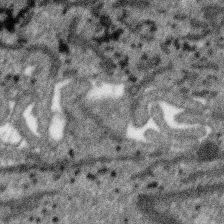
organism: Human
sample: Lung epithelial cells infected with SARS-CoV-2